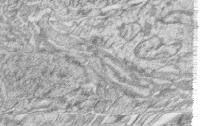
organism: Zebrafish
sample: synaptic ribbons in rod cells and cone cells